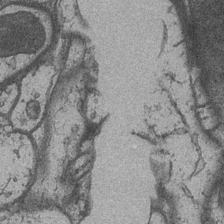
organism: Drosophila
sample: Optic medulla